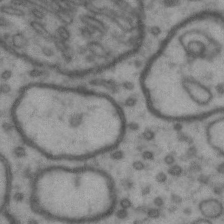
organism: Drosophila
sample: Brain